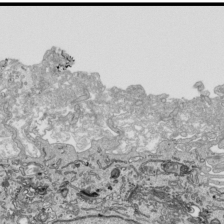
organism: Human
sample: Mitochondria in HCT116 cells